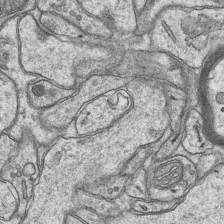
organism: Mouse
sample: CA1 Hippocampus